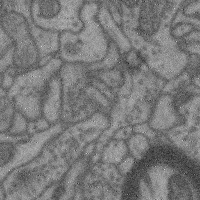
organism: Mouse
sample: Cerebral cortex